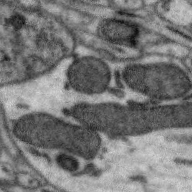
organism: Zebra finch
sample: Brain